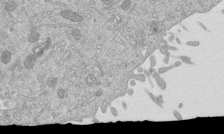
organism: Mouse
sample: ED-1 cell nuclei; centrioles